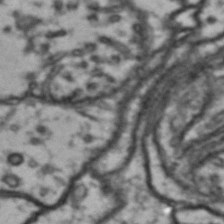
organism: Drosophila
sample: Brain